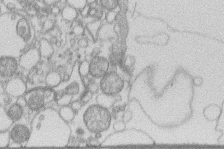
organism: Human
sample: Macrophage cells